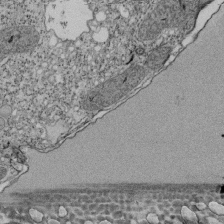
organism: Tetrahymena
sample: Cilia in tetrahymena